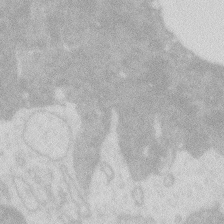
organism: Zebrafish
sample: Macrophage